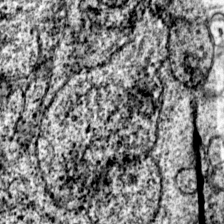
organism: Mouse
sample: Primary visual cortex